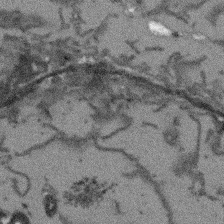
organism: Arabidopsis thaliana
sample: Root tip